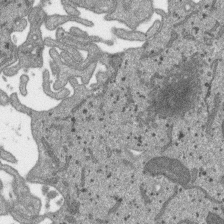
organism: Human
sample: Lung epithelial cells infected with SARS-CoV-2